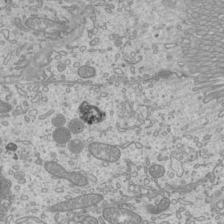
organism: Mouse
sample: Cilia; mouse epididymis